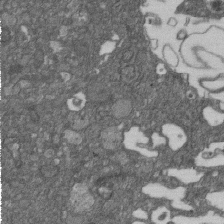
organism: Drosophila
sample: Nephrocyte